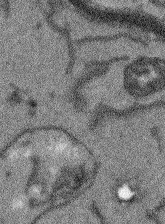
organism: Arabidopsis thaliana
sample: Root tip